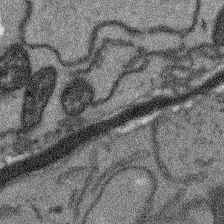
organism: Arabidopsis thaliana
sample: Root tip